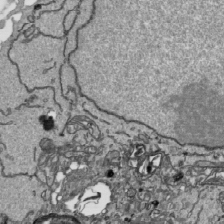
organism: Human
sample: Mitochondria in HCT116 cells